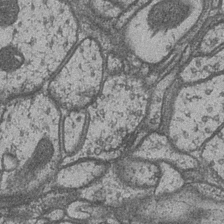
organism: Drosophila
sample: Optic medulla